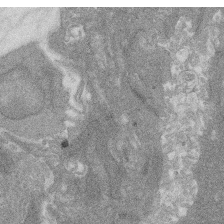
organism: Rat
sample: Salivary granule